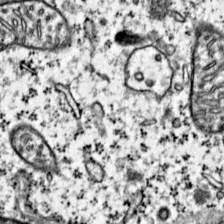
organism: Mouse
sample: Primary visual cortex